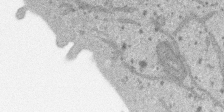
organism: Human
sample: Lung epithelial cells infected with SARS-CoV-2